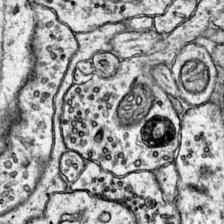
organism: Mouse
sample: Primary visual cortex